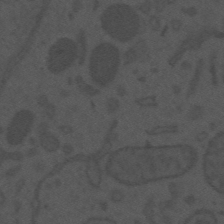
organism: Mouse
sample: Suprachiasmatic nucleus